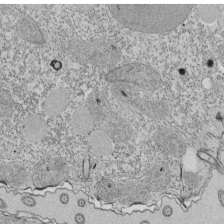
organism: Tetrahymena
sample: Cilia in tetrahymena